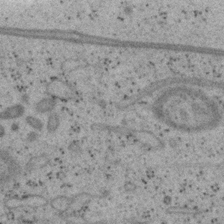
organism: Human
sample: HeLa cells